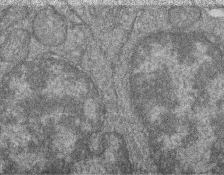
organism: Zebrafish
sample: Cilia; retinal pigment epithelium